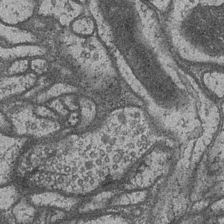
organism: Drosophila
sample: Optic medulla